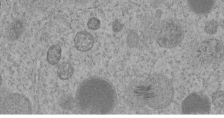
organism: C. elegans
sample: C. elegans embryo early stage